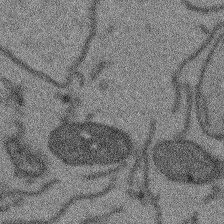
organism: Arabidopsis thaliana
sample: Root tip